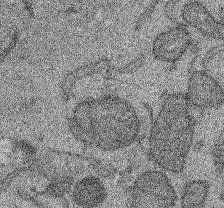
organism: Human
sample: HeLa cells